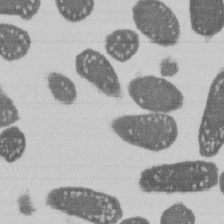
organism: E. coli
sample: Bacterial nucleoid